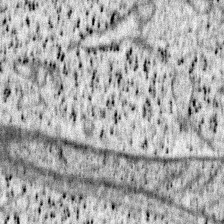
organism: Human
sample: HeLa cells